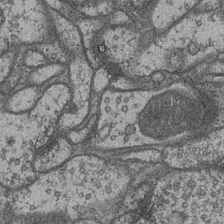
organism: Drosophila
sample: Optic medulla